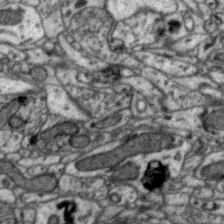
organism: Zebra finch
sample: Brain